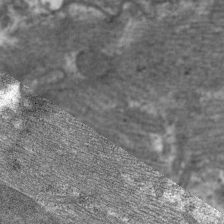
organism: C. elegans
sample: Pharynx